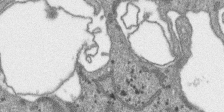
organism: Human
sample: Lung epithelial cells infected with SARS-CoV-2